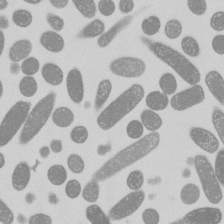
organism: E. coli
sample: Bacterial nucleoid